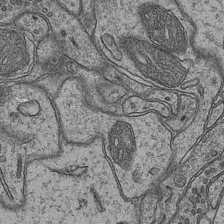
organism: Mouse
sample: CA1 Hippocampus